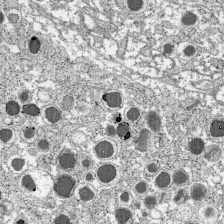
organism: C57BL Mouse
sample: Pancreatic islet